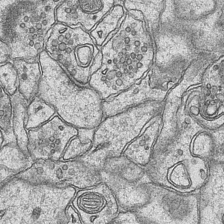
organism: Mouse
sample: CA1 Hippocampus